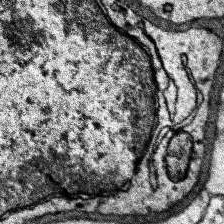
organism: Human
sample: Temporal Lobe